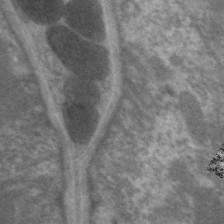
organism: C. elegans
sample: Pharynx